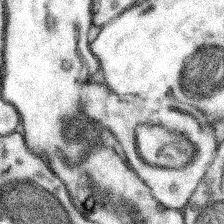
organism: Mouse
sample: Somatosensory cortex neuropil